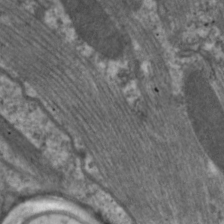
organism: C. elegans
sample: Pharynx